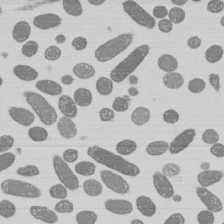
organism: E. coli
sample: Bacterial nucleoid